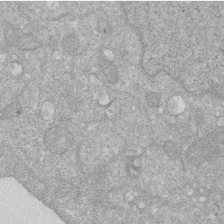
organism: Human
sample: HIV infected U937 cells